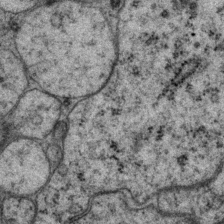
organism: P. pacificus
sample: Pharynx